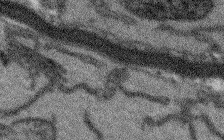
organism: Arabidopsis thaliana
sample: Root tip